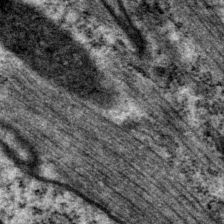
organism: P. pacificus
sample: Pharynx